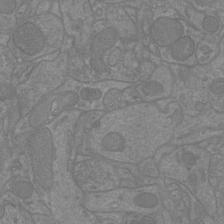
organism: Mouse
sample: Cortical neurons